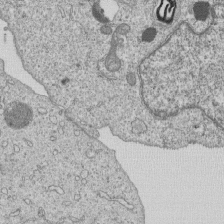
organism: Human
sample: MDA-MB-231 cells